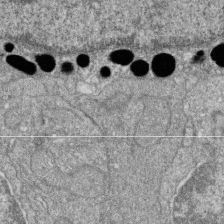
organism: Zebrafish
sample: Cilia; retinal pigment epithelium